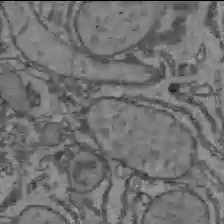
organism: C57BL Mouse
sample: Liver